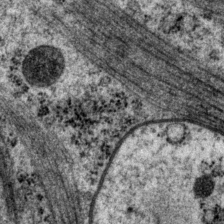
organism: P. pacificus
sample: Pharynx